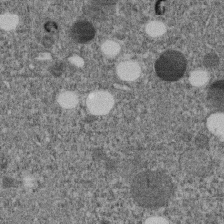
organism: C. elegans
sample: C. elegans embryo early stage